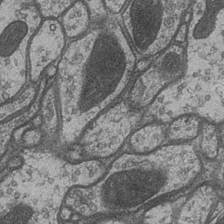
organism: Drosophila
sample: Optic medulla